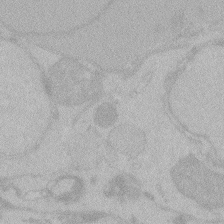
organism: Zebrafish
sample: Macrophage infected with Toxoplasma gondii